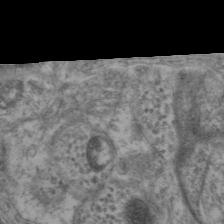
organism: Mouse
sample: Neocortex